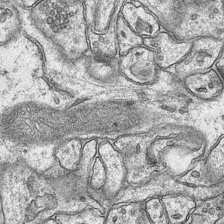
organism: Mouse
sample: CA1 Hippocampus